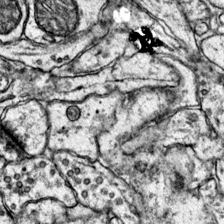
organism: Mouse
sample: Primary visual cortex